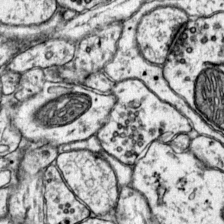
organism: Mouse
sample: Primary visual cortex